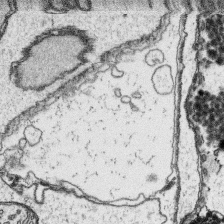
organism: Platynereis dumerilii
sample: Parapodia